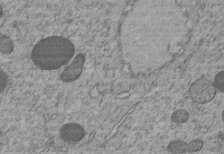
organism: C. elegans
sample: C. elegans embryo early stage